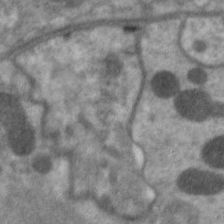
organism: C. elegans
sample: Pharynx